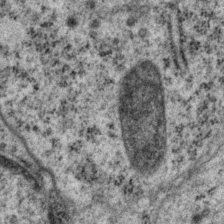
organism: P. pacificus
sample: Pharynx